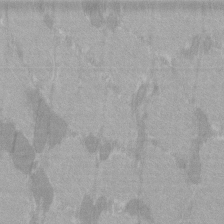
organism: C57BL Mouse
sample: Tibialis anterior muscle cell